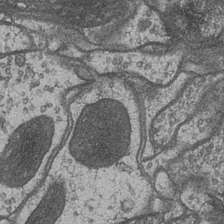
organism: Drosophila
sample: Optic medulla